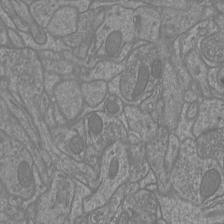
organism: Mouse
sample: Cortical neurons